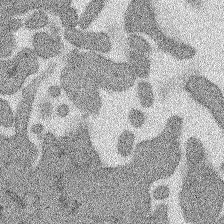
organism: Human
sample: HeLa cells